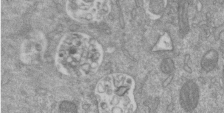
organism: Mouse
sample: ED-1 cell nuclei; centrioles